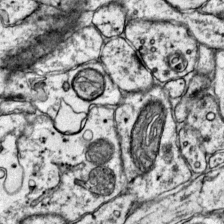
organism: Mouse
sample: Primary visual cortex